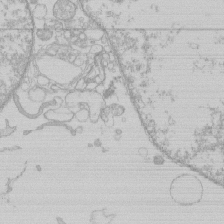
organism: Human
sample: Macrophage cells